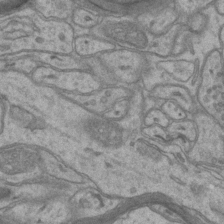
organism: Mouse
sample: CA1 Hippocampus